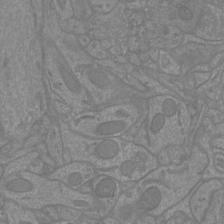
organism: Mouse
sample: Cortical neurons